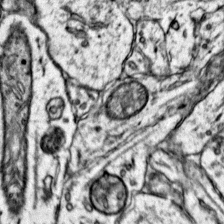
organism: Mouse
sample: Primary visual cortex